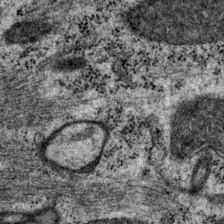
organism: P. pacificus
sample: Pharynx